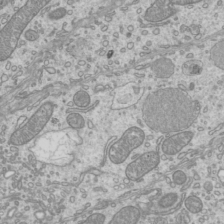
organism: Mouse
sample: Cilia; mouse epididymis